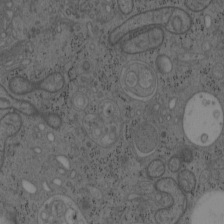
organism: Mouse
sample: OT-I killer T cells with ID8 ovarian cancer cells